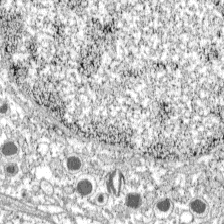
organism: C57BL Mouse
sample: Pancreatic islet